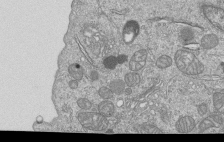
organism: Human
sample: MDA-MB-231 cells